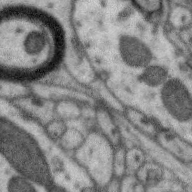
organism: Zebra finch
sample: Brain